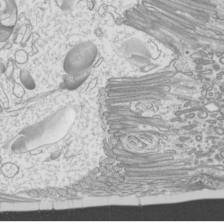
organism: Mouse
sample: Cilia; mouse epididymis